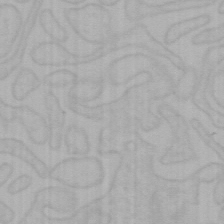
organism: Mouse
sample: Choroid plexus